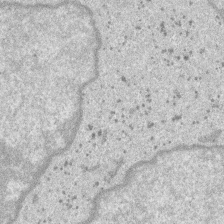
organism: Human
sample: Lung epithelial cells infected with SARS-CoV-2